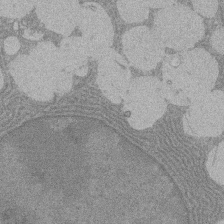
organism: Rat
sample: Salivary granule